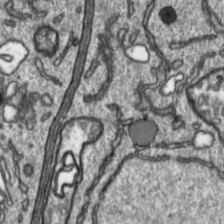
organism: Toxoplasma gondii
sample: Parasites in a vacuole inside a host cell